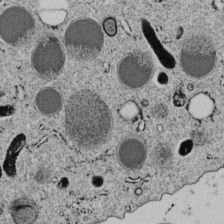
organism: C. elegans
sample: C. elegans embryo early stage